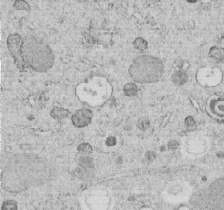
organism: C. elegans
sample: C. elegans embryo early stage